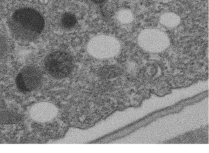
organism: C. elegans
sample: C. elegans embryo early stage